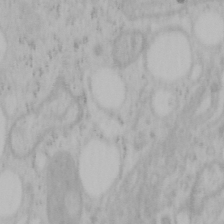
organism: Mouse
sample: OT-I killer T cells with ID8 ovarian cancer cells